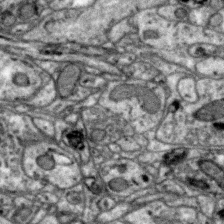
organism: Zebra finch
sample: Brain